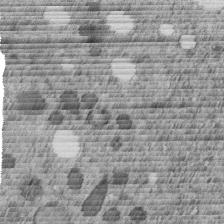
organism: C. elegans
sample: C. elegans embryo early stage